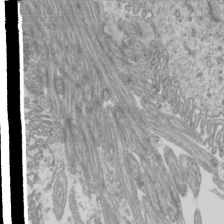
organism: Mouse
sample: Cilia; mouse epididymis